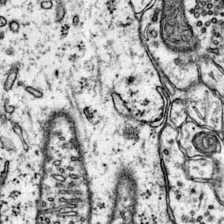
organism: Mouse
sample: Primary visual cortex